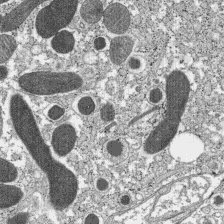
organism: C57BL Mouse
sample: Pancreatic islet